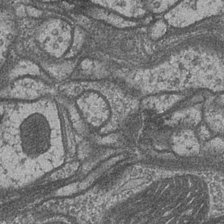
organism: Drosophila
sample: Optic medulla